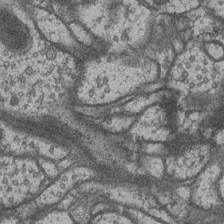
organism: Drosophila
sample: Optic medulla